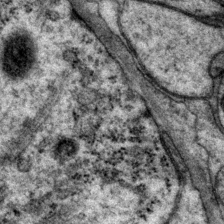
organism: P. pacificus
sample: Pharynx